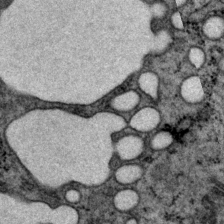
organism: P. pacificus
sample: Pharynx